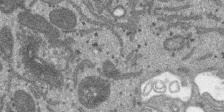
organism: Human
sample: Lung epithelial cells infected with SARS-CoV-2